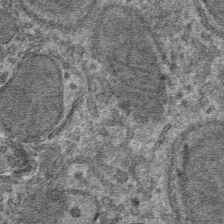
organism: Mouse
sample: Mouse hepatocytes